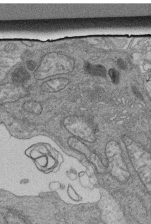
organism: Human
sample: Retinal organoid Rod and Cone cells